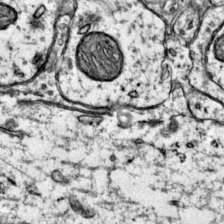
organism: Mouse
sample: Primary visual cortex